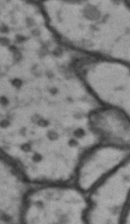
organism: Drosophila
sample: Brain